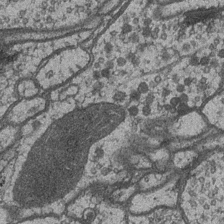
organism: Drosophila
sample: Optic medulla